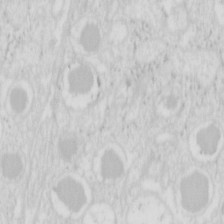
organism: Mouse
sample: Pancreas